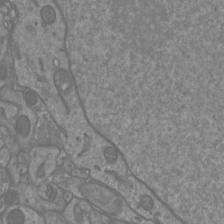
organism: Mouse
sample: Cortical neurons